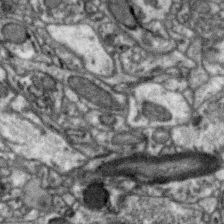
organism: Zebra finch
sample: Brain